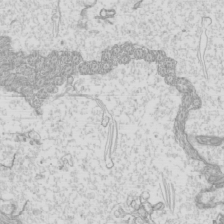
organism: Mouse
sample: Cilia; mouse epididymis